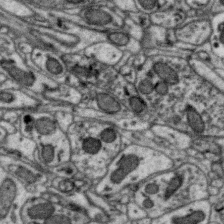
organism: Zebra finch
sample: Brain